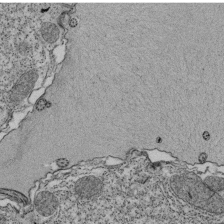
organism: Tetrahymena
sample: Cilia in tetrahymena